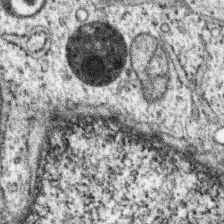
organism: Human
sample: HeLa cells